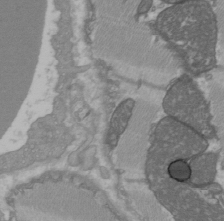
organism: C57BL Mouse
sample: Heart